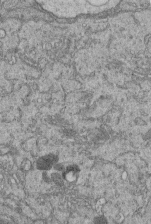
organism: Human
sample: Retinal organoid Rod and Cone cells